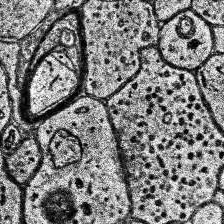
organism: Human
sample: Temporal Lobe